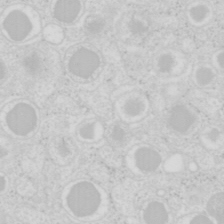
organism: Mouse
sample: Pancreas